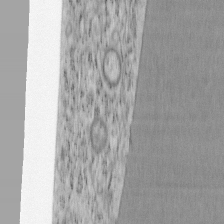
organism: Human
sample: HeLa cells